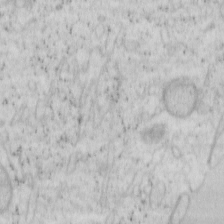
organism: Human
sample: HeLa cells